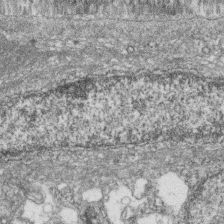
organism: Zebrafish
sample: Cilia; retinal pigment epithelium